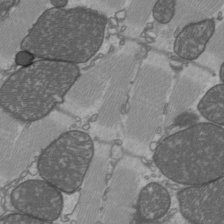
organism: C57BL Mouse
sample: Heart